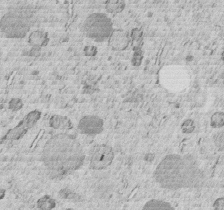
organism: C. elegans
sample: C. elegans embryo early stage